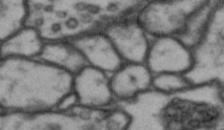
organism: Drosophila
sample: Brain